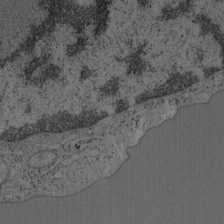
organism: Mouse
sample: OT-I killer T cells with ID8 ovarian cancer cells